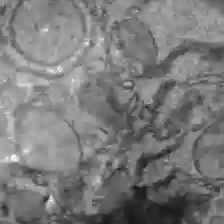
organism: C57BL Mouse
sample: Liver